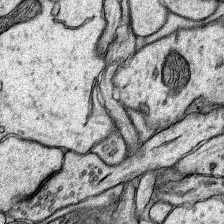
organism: Rat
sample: Hippocampus